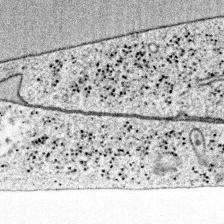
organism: Human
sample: HeLa cells